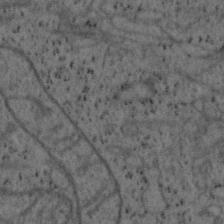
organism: Human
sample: HeLa cells